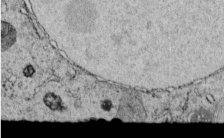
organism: C. elegans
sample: C. elegans embryo early stage